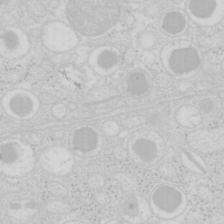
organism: Mouse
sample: Pancreas